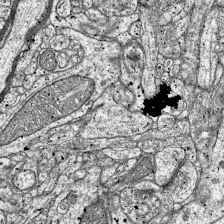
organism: Mouse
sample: Visual Cortex